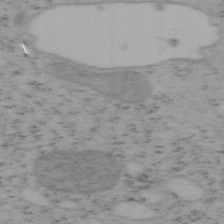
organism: Mouse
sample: OT-I killer T cells with ID8 ovarian cancer cells